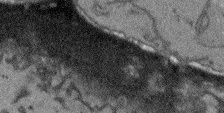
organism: Arabidopsis thaliana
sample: Root tip